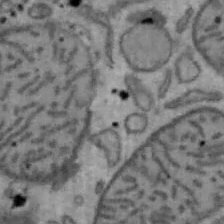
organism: Mouse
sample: Liver